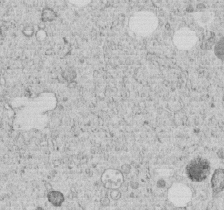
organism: C. elegans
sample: C. elegans embryo early stage